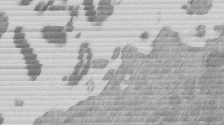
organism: Mouse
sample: Dividing mouse embryo 1 cell stage